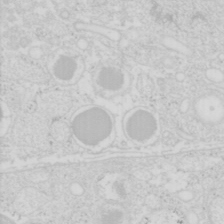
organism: Mouse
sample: Pancreas